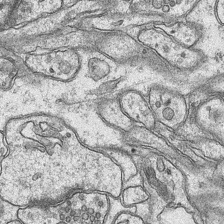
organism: Mouse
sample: CA1 Hippocampus